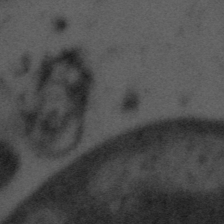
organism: Tuwongella immobilis